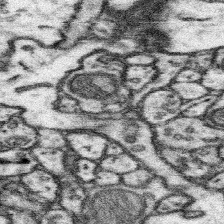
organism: Mouse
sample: Somatosensory cortex neuropil